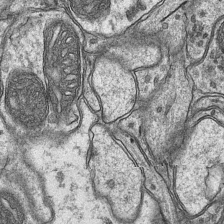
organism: Mouse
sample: CA1 Hippocampus